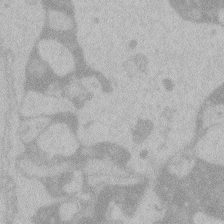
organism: Zebrafish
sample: Macrophage infected with Toxoplasma gondii